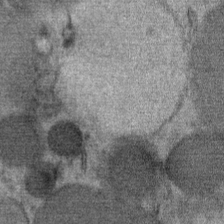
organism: Mouse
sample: Mouse Salivary gland